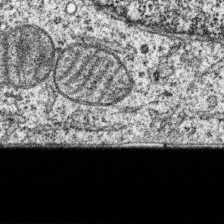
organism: Human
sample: HeLa cells